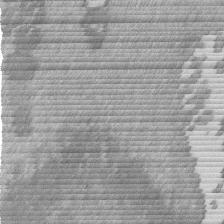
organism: Mouse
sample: Dividing mouse embryo 1 cell stage